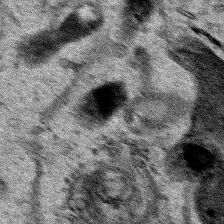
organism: Human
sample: Mitochondria in HCT116 cells